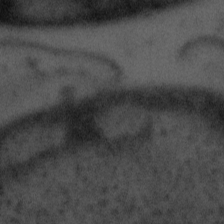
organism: Tuwongella immobilis